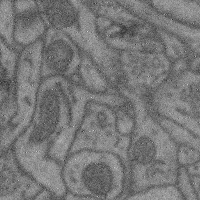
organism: Mouse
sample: Cerebral cortex